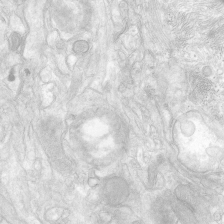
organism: Human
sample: Neocortex